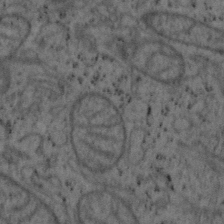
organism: Human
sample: HeLa cells